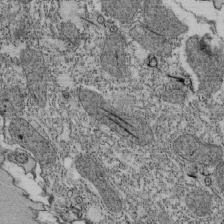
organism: Tetrahymena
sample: Cilia in tetrahymena